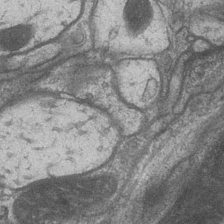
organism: Drosophila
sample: Optic medulla